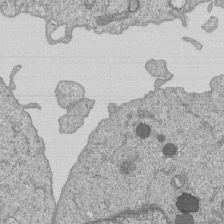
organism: Human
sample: MDA-MB-231 cells